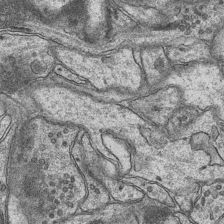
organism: Mouse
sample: CA1 Hippocampus